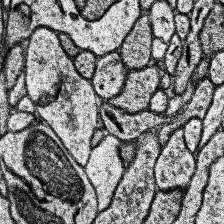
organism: Human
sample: Temporal Lobe